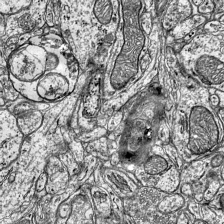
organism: Mouse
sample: Visual Cortex